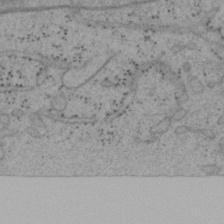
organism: Human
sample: HeLa cells